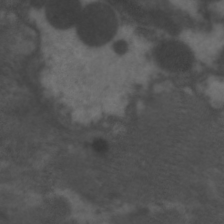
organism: C. elegans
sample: Pharynx